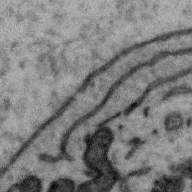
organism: Zebra finch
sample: Brain